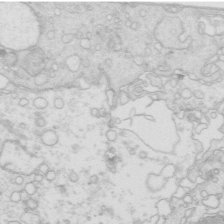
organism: Mouse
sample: Multiciliated cells